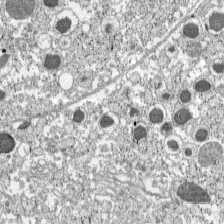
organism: C57BL Mouse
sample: Pancreatic islet